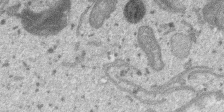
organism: Human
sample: Lung epithelial cells infected with SARS-CoV-2